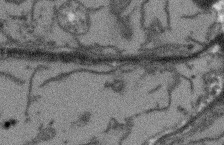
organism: Arabidopsis thaliana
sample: Root tip